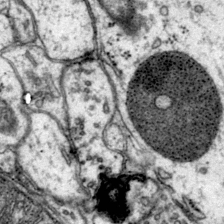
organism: Mouse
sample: Primary visual cortex